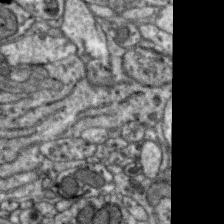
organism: Zebra finch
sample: Brain